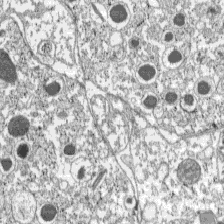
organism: C57BL Mouse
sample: Pancreatic islet